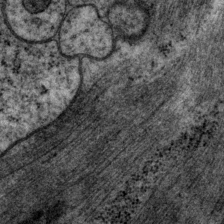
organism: P. pacificus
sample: Pharynx